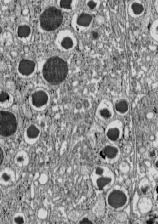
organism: C57BL Mouse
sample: Pancreatic islet